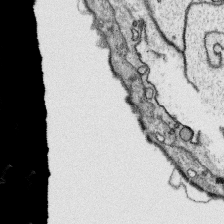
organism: Platynereis dumerilii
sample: Parapodia